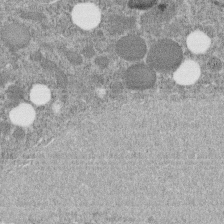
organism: C. elegans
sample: C. elegans embryo early stage